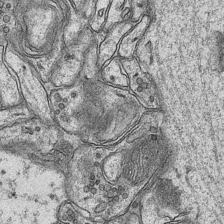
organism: Mouse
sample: CA1 Hippocampus